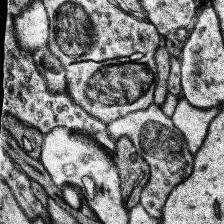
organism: Human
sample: Temporal Lobe